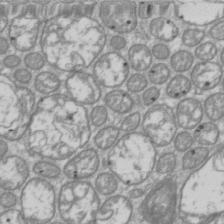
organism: Drosophila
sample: Cell division; meiosis; drosophila spermatocytes